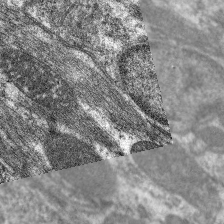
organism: C. elegans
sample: Pharynx